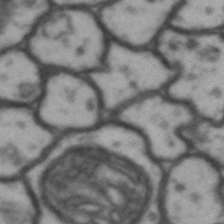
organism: Drosophila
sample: Brain